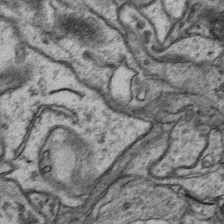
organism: Mouse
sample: CA1 Hippocampus